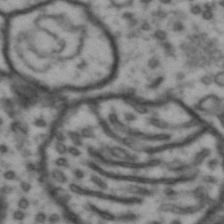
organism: Drosophila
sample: Brain